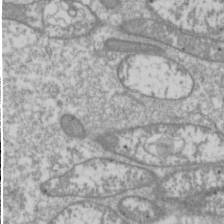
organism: Drosophila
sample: Cell division; meiosis; drosophila spermatocytes